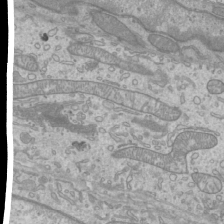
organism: Mouse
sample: Cilia; mouse epididymis